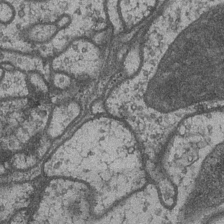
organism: Drosophila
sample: Optic medulla